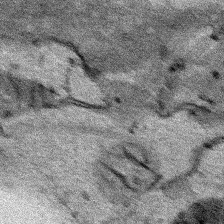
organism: Human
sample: Mitochondria in HCT116 cells